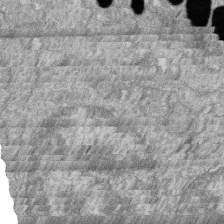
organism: Zebrafish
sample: Cilia; retinal pigment epithelium